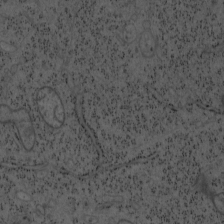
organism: Mouse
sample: OT-I killer T cells with ID8 ovarian cancer cells